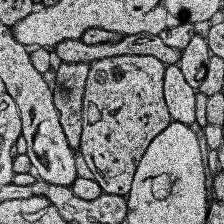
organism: Human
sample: Temporal Lobe